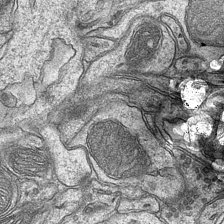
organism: Mouse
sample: CA1 Hippocampus